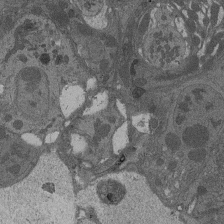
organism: Drosophila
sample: Antenna